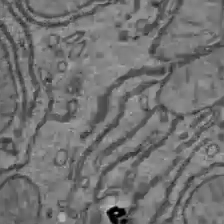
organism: C57BL Mouse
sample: Liver